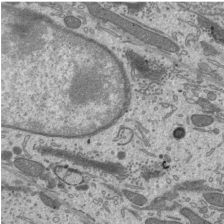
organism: Mouse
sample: Mouse epididymis efferent ductule cilia